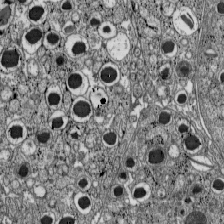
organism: C57BL Mouse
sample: Pancreatic islet